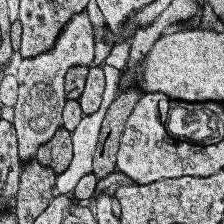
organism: Human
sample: Temporal Lobe